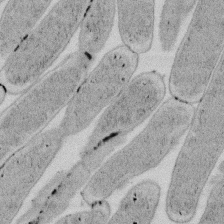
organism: E. coli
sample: Bacterial nucleoid